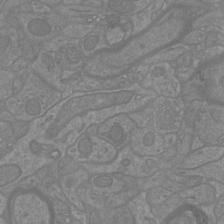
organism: Mouse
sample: Cortical neurons